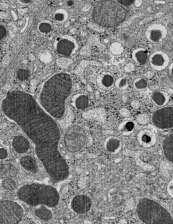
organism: C57BL Mouse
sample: Pancreatic islet